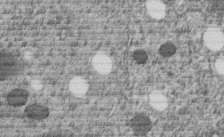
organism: C. elegans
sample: C. elegans embryo early stage